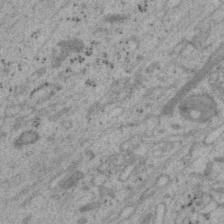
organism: Human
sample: HeLa cells